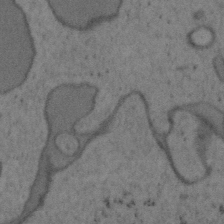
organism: Human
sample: HeLa cells